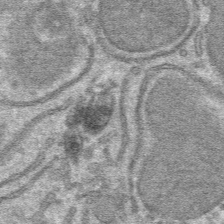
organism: Mouse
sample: Mouse hepatocytes